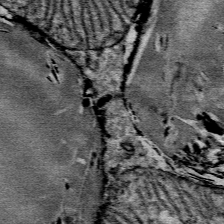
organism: Mouse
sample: Mouse Salivary gland